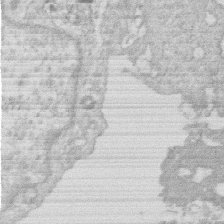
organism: Human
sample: Macrophage cells